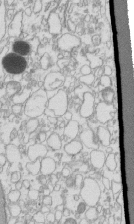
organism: Mouse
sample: Macrophages